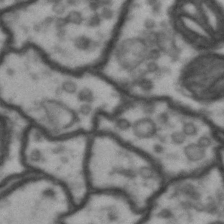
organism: Drosophila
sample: Brain